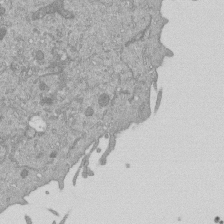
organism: Mouse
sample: ED-1 cell nuclei; centrioles